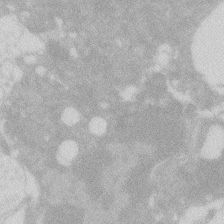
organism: Zebrafish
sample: Macrophage